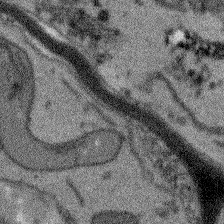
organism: Arabidopsis thaliana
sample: Root tip